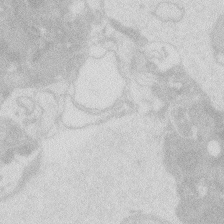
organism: Zebrafish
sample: Macrophage